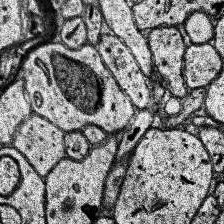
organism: Human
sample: Temporal Lobe